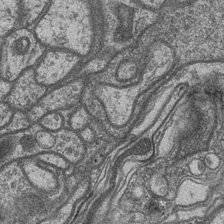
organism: Drosophila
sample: Optic medulla